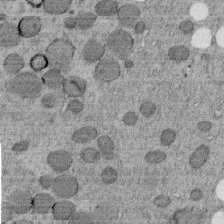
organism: C. elegans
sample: C. elegans embryo early stage